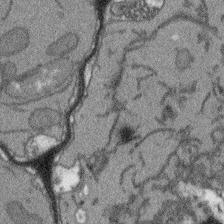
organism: Arabidopsis thaliana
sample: Root tip